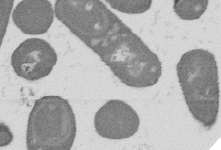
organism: B. subtilis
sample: Bacterial spore